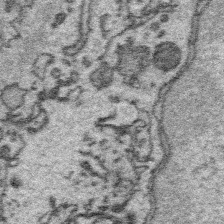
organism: Platynereis dumerilii